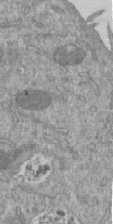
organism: Mouse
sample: ED-1 cell nuclei; centrioles